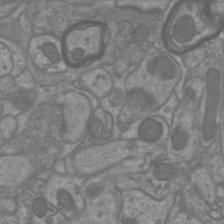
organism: Mouse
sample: Cortical neurons